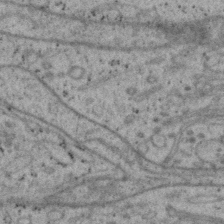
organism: Human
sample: HeLa cells